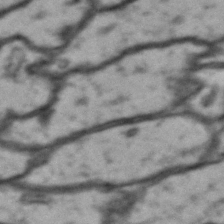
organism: Drosophila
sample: Brain